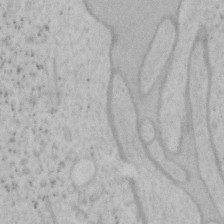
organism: Human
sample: HeLa cells